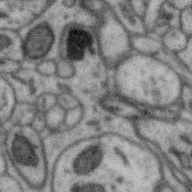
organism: Zebra finch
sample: Brain